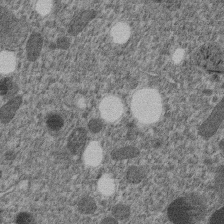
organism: C. elegans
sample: C. elegans embryo early stage